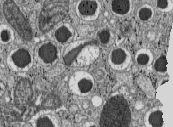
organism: C57BL Mouse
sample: Pancreatic islet